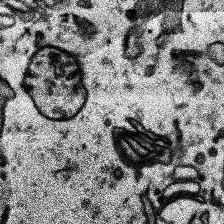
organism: Human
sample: Temporal Lobe